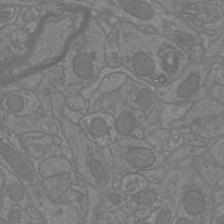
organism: Mouse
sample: Cortical neurons